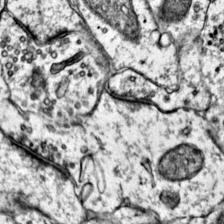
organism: Mouse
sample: Primary visual cortex